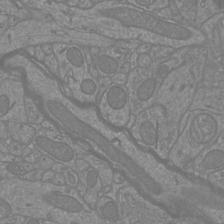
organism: Mouse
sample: Cortical neurons